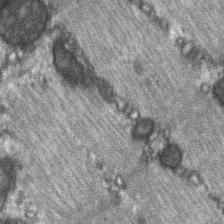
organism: C57BL Mouse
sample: Soleus